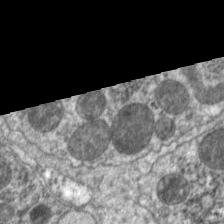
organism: C. elegans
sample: Pharynx